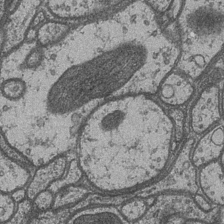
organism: Drosophila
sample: Optic medulla